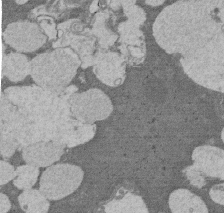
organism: Rat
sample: Salivary granule